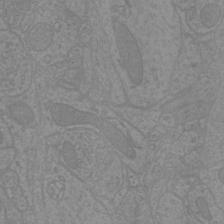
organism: Mouse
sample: Cortical neurons